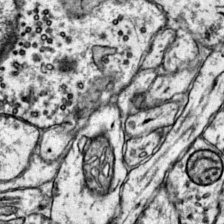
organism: Mouse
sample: Primary visual cortex